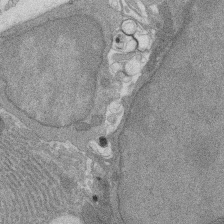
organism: Rat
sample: Salivary granule